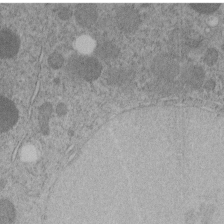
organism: C. elegans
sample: C. elegans embryo early stage